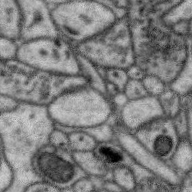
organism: Zebra finch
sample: Brain